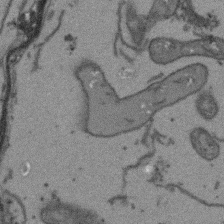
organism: Arabidopsis thaliana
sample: Root tip